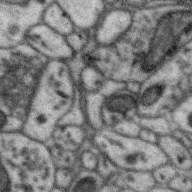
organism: Zebra finch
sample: Brain